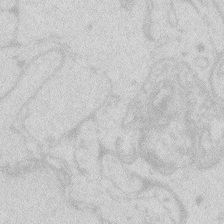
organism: Zebrafish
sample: Macrophage